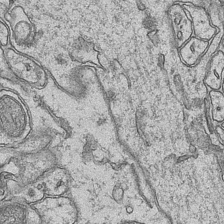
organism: Mouse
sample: CA1 Hippocampus